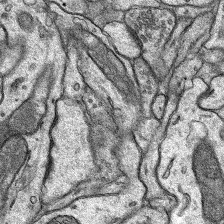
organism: Rat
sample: Hippocampus